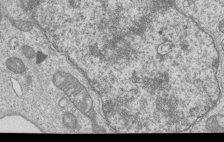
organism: Human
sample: MDA-MB-231 cells